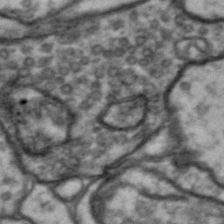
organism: Drosophila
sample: Brain